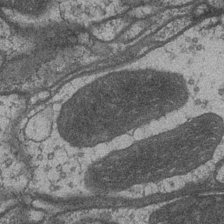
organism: Drosophila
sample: Optic medulla